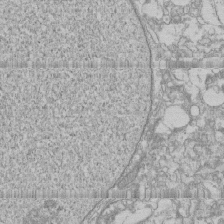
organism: Human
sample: CRL-1474